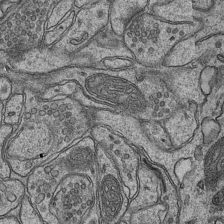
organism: Mouse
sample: CA1 Hippocampus